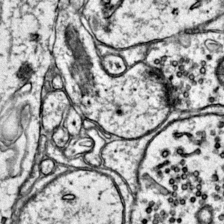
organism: Mouse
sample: Primary visual cortex